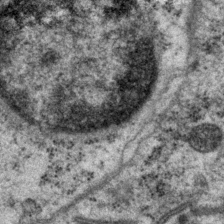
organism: P. pacificus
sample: Pharynx